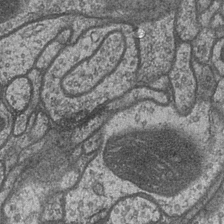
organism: Drosophila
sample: Optic medulla